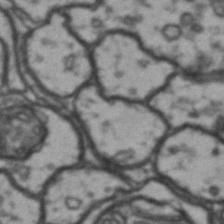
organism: Drosophila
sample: Brain